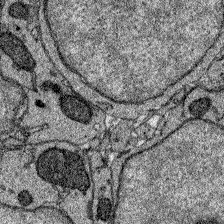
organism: Zebrafish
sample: Larval olfactory bulb